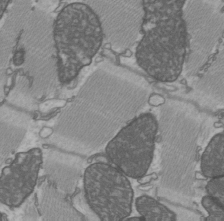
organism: C57BL Mouse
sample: Heart